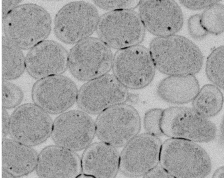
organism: E. coli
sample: Bacterial nucleoid